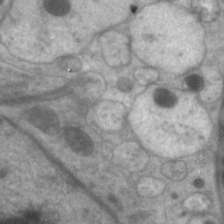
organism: C. elegans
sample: Pharynx